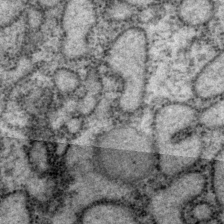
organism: P. pacificus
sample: Pharynx